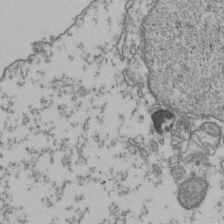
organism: Human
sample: Activated Jurkat CD4+ T cells